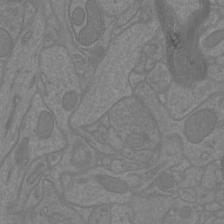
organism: Mouse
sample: Cortical neurons